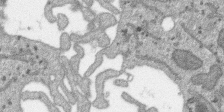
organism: Human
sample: Lung epithelial cells infected with SARS-CoV-2